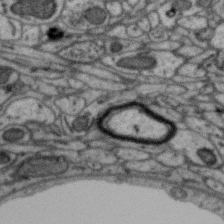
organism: Zebra finch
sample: Brain